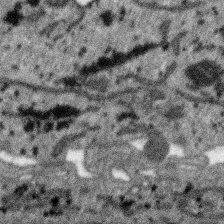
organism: Human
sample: Lung epithelial cells infected with SARS-CoV-2